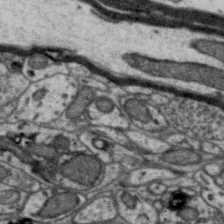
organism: Zebra finch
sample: Brain